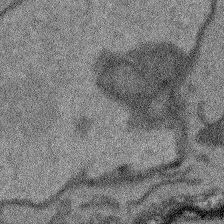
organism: Arabidopsis thaliana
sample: Root tip